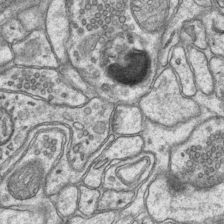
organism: Mouse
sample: CA1 Hippocampus